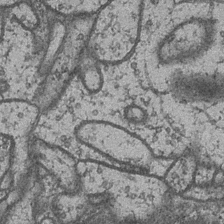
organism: Drosophila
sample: Optic medulla